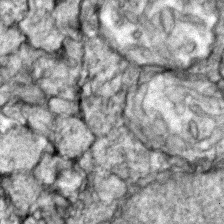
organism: Zebrafish